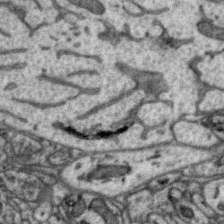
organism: Zebra finch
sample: Brain